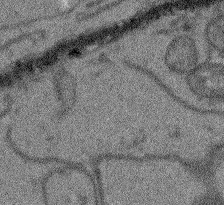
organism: Arabidopsis thaliana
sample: Root tip